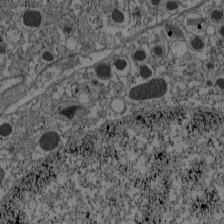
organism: C57BL Mouse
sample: Pancreatic islet